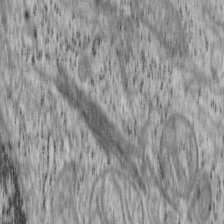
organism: Human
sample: HeLa cells